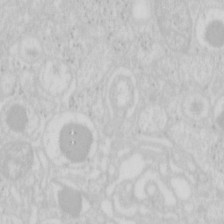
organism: Mouse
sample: Pancreas